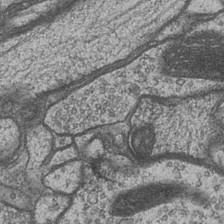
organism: Drosophila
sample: Optic medulla